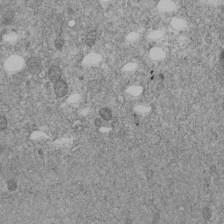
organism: C. elegans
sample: C. elegans embryo early stage